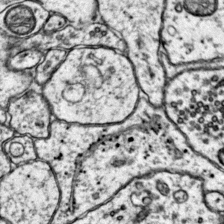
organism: Mouse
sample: Primary visual cortex